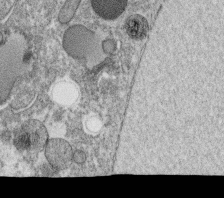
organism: C. elegans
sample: C. elegans oocyte; sperm cells